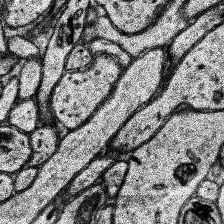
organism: Human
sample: Temporal Lobe